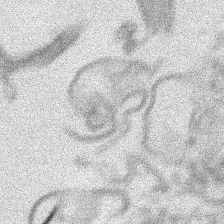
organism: Human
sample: Mitochondria in HCT116 cells